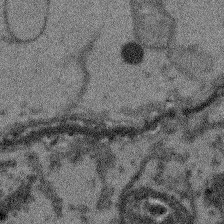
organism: Arabidopsis thaliana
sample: Root tip